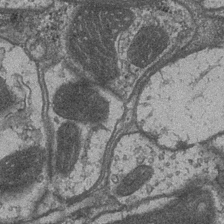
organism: Drosophila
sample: Optic medulla